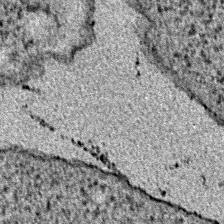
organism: E. coli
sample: E. Coli Bacteria